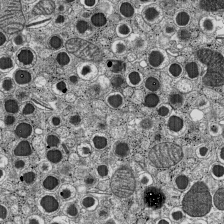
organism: C57BL Mouse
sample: Pancreatic islet